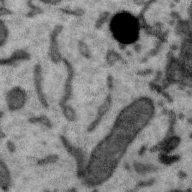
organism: Zebra finch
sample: Brain